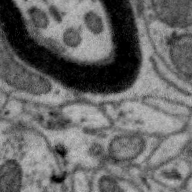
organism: Zebra finch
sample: Brain